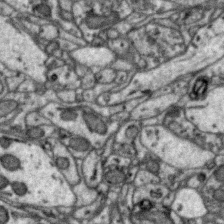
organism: Zebra finch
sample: Brain